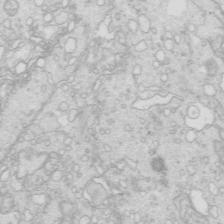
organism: Mouse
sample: Multiciliated cells